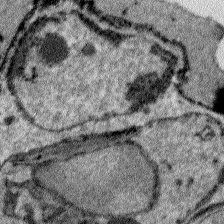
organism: Plasmodium falciparum